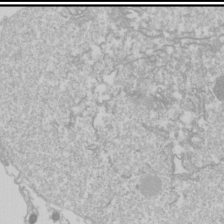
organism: Drosophila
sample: Cell division; meiosis; drosophila spermatocytes